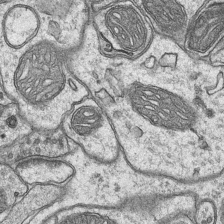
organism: Mouse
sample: CA1 Hippocampus